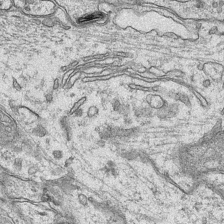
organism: Mouse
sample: CA1 Hippocampus